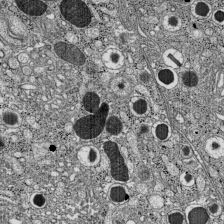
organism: C57BL Mouse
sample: Pancreatic islet